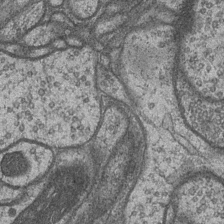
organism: Drosophila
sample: Optic medulla